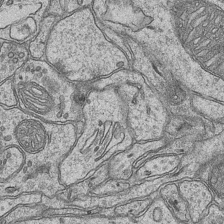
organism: Mouse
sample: CA1 Hippocampus